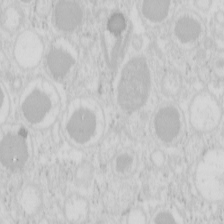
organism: Mouse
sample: Pancreas